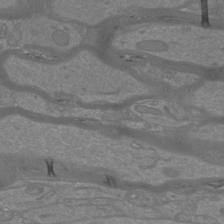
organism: Mouse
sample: Cortical neurons